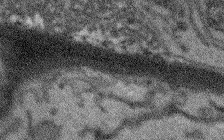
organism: Arabidopsis thaliana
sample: Root tip